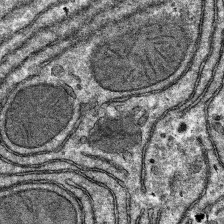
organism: Mouse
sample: Mouse hepatocytes